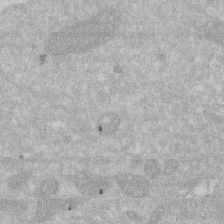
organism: Human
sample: HIV infected U937 cells